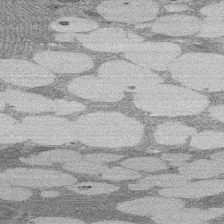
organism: Rat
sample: Salivary granule